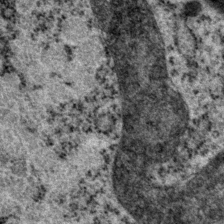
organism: P. pacificus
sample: Pharynx